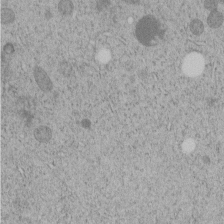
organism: C. elegans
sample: C. elegans embryo early stage